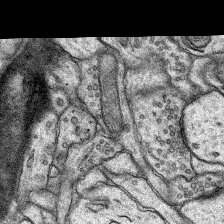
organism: Rat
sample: Hippocampus